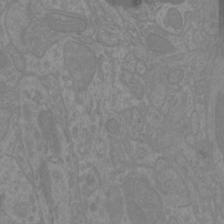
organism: Mouse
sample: Cortical neurons